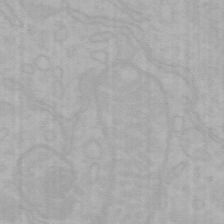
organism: Mouse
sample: Choroid plexus